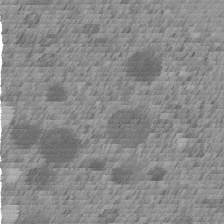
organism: C. elegans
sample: C. elegans embryo early stage